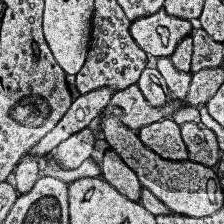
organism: Human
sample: Temporal Lobe